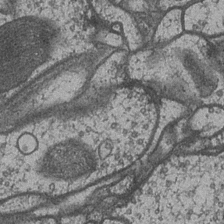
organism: Drosophila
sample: Optic medulla